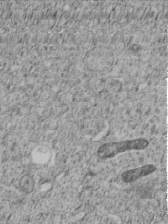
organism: C. elegans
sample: C. elegans embryo early stage